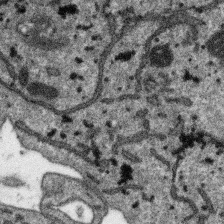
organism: Human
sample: Lung epithelial cells infected with SARS-CoV-2